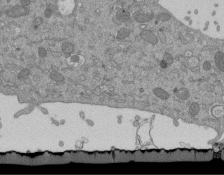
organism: Mouse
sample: ED-1 cell nuclei; centrioles